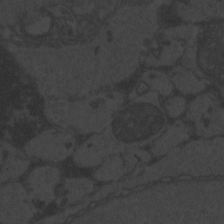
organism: Zebrafish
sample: Macrophage infected with Toxoplasma gondii